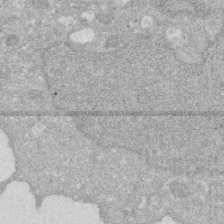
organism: Human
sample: HIV infected U937 cells